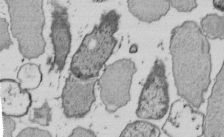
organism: E. coli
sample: Bacterial nucleoid